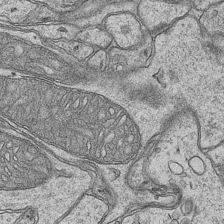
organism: Mouse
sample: CA1 Hippocampus